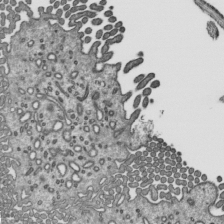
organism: Mouse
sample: Mouse epididymis efferent ductule cilia